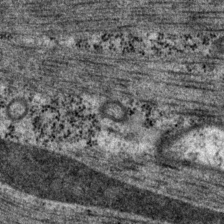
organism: P. pacificus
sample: Pharynx